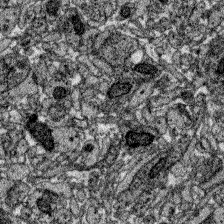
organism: Zebrafish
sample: Larval olfactory bulb